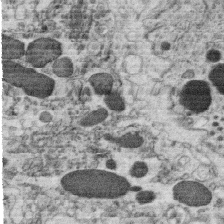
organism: C. elegans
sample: C. elegans oocyte; sperm cells